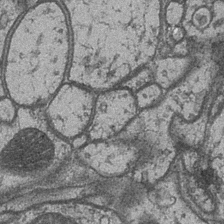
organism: Drosophila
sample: Optic medulla